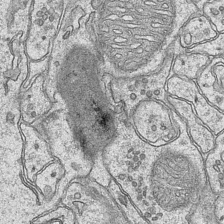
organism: Mouse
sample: CA1 Hippocampus